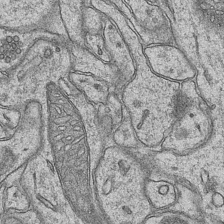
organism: Mouse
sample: CA1 Hippocampus